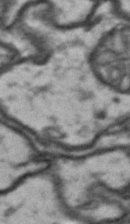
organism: Drosophila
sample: Brain